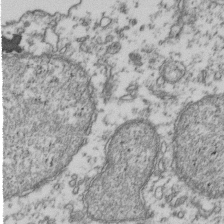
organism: Human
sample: Activated Jurkat CD4+ T cells